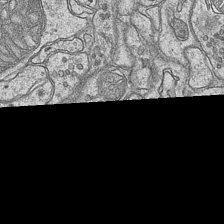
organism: Mouse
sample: CA1 Hippocampus